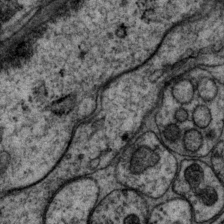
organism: P. pacificus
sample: Pharynx